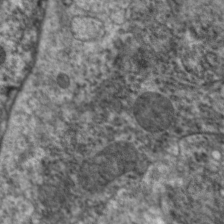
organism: C. elegans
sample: Pharynx